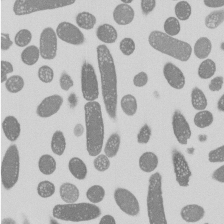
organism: E. coli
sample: Bacterial nucleoid